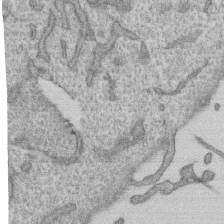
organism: Human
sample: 1205lu cells